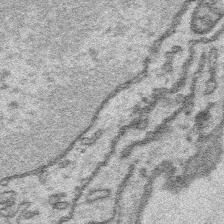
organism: Platynereis dumerilii